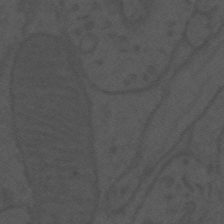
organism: Mouse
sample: Suprachiasmatic nucleus